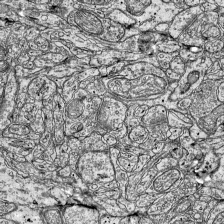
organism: Mouse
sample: Visual Cortex